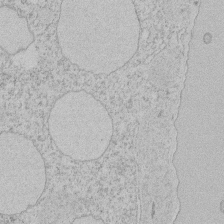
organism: Tetrahymena